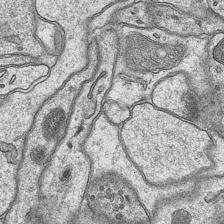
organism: Mouse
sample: CA1 Hippocampus